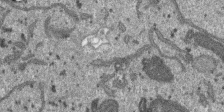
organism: Human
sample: Lung epithelial cells infected with SARS-CoV-2